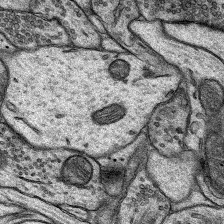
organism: Rat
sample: Hippocampus